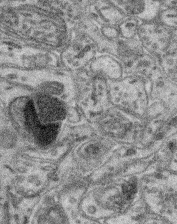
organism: Mouse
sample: Retina